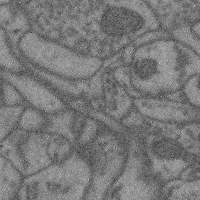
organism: Mouse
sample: Cerebral cortex